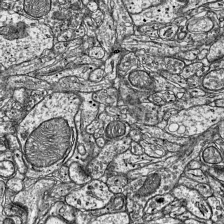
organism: Mouse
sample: Visual Cortex